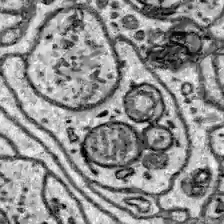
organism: Zebrafish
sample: Brain